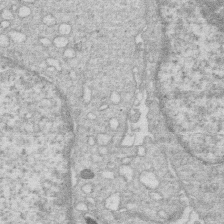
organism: Human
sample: Macrophage cells